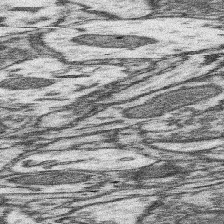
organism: Mouse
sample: Somatosensory cortex neuropil